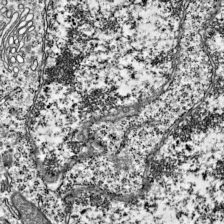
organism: Mouse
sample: Visual Cortex